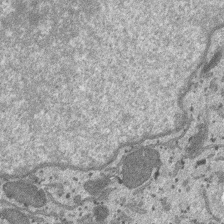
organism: Human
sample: Lung epithelial cells infected with SARS-CoV-2